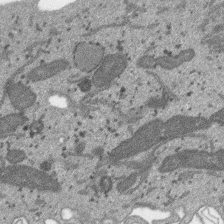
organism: Human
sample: Lung epithelial cells infected with SARS-CoV-2